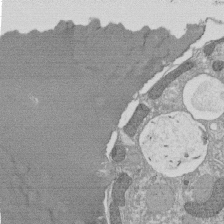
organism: Tetrahymena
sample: Cilia in tetrahymena